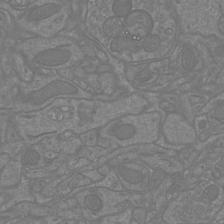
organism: Mouse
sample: Cortical neurons